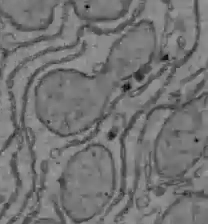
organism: C57BL Mouse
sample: Liver